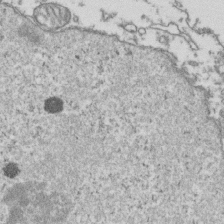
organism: Human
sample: Activated Jurkat CD4+ T cells